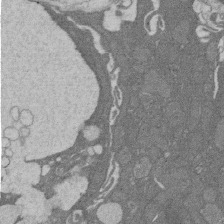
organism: Rat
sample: Salivary granule